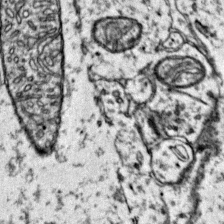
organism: Mouse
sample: Primary visual cortex